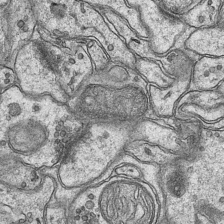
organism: Mouse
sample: CA1 Hippocampus